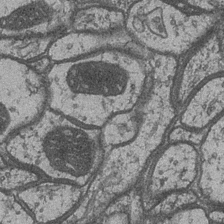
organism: Drosophila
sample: Optic medulla